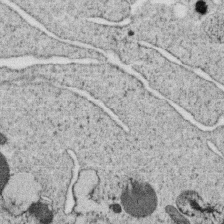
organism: C. elegans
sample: C. elegans oocyte; sperm cells